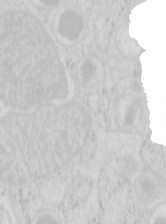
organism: Mouse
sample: Pancreas